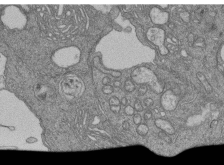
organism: Human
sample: Retinal organoid Rod and Cone cells